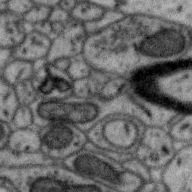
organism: Zebra finch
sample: Brain